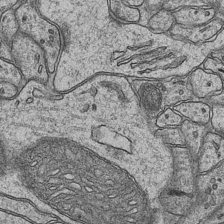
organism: Mouse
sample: CA1 Hippocampus